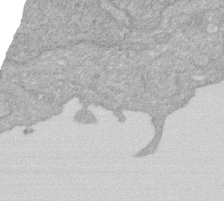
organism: Human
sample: HIV infected U937 cells